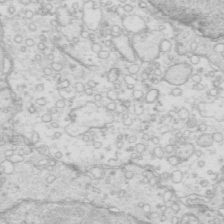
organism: Mouse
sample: Multiciliated cells